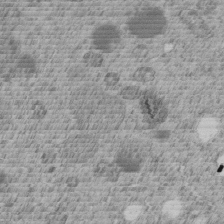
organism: C. elegans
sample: C. elegans embryo early stage